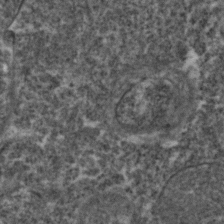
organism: Zebrafish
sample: Zebrafish embryo